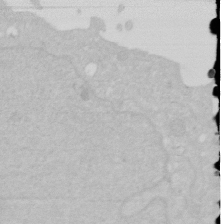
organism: Human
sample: HIV infected U937 cells